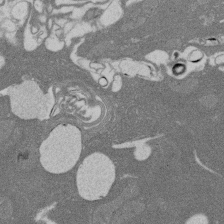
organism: Rat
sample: Salivary granule